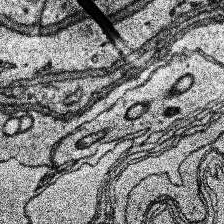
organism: Human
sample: Temporal Lobe